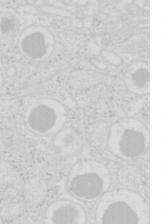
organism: Mouse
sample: Pancreas